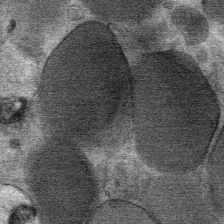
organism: Mouse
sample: Mouse Salivary gland